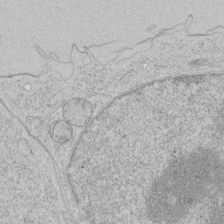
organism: Human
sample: Mitochondria in HCT116 cells